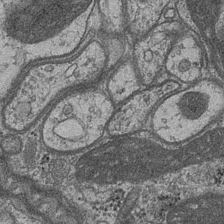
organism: Drosophila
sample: Optic medulla